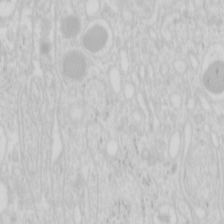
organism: Mouse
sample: Pancreas